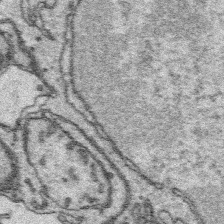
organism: Platynereis dumerilii